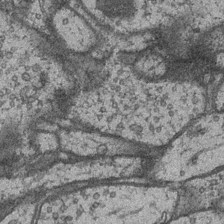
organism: Drosophila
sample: Optic medulla